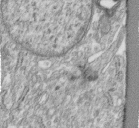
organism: Human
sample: Centriole in fibroblast cells